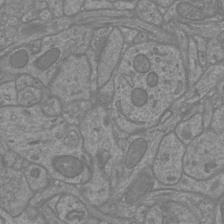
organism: Mouse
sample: Cortical neurons